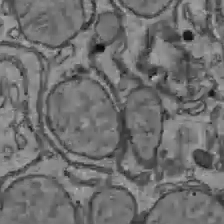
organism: C57BL Mouse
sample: Liver